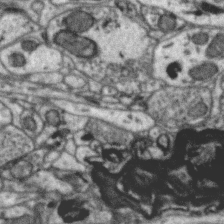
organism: Zebra finch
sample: Brain